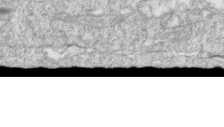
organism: Human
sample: HeLa cell HIV synapse